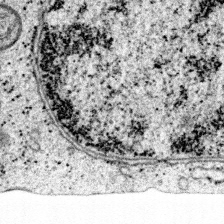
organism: Human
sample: HeLa cells